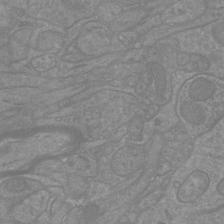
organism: Mouse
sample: Cortical neurons